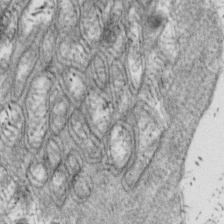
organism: Drosophila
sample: Cell division; meiosis; drosophila spermatocytes